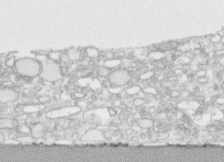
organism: Human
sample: CRL-1474